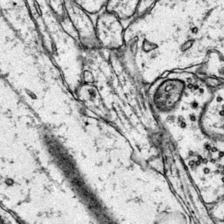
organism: Mouse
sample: Primary visual cortex